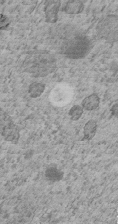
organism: C. elegans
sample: C. elegans embryo early stage